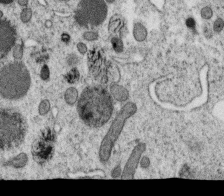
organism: C. elegans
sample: C. elegans oocyte; sperm cells